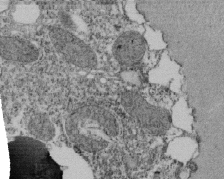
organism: Tetrahymena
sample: Cilia in tetrahymena